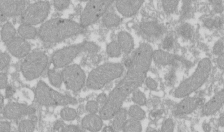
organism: Xenopus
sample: Cilia; centrioles in frog embryo cells